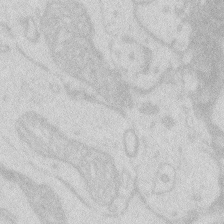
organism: Zebrafish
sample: Macrophage